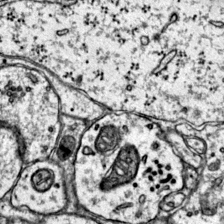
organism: Mouse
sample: Primary visual cortex